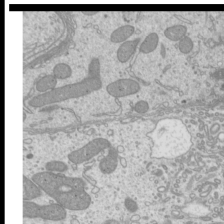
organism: Mouse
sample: Cilia; mouse epididymis